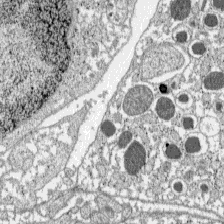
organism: C57BL Mouse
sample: Pancreatic islet